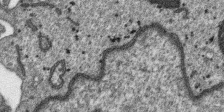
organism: Human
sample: Lung epithelial cells infected with SARS-CoV-2